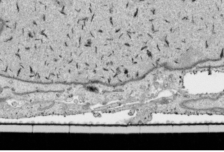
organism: Human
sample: Mitochondria in HCT116 cells